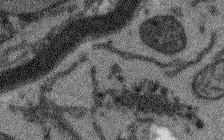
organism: Arabidopsis thaliana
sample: Root tip